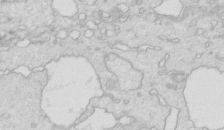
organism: Mouse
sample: Multiciliated cells